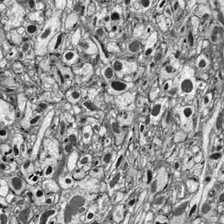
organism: Drosophila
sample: Optic lobe